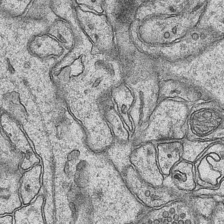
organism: Mouse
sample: CA1 Hippocampus